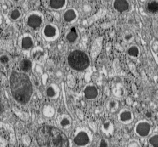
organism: C57BL Mouse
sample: Pancreatic islet